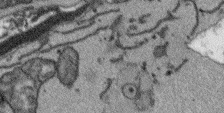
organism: Arabidopsis thaliana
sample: Root tip